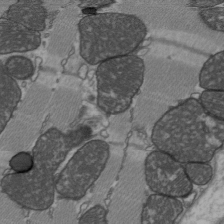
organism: C57BL Mouse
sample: Heart